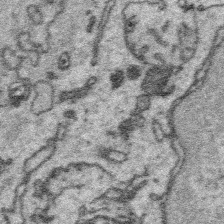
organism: Platynereis dumerilii